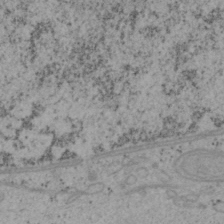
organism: Human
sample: HeLa cells